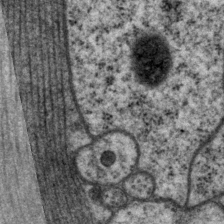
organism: P. pacificus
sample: Pharynx